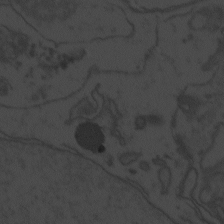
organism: Zebrafish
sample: Macrophage infected with Toxoplasma gondii